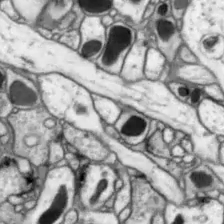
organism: Drosophila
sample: Optic lobe